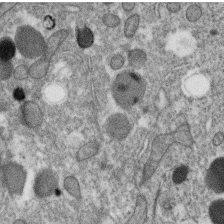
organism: C. elegans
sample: C. elegans oocyte; sperm cells